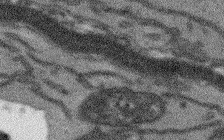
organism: Arabidopsis thaliana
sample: Root tip